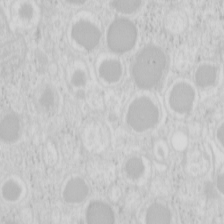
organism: Mouse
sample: Pancreas